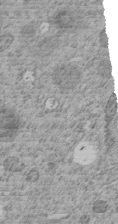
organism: C. elegans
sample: C. elegans embryo early stage